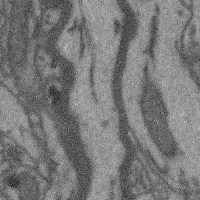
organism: Mouse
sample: Cerebral cortex